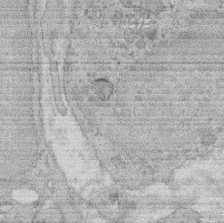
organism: Rat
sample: Salivary granule